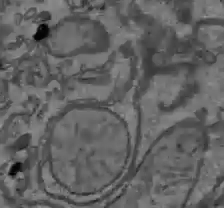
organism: C57BL Mouse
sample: Liver